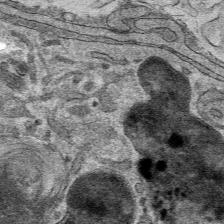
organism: Mouse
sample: Mouse hepatocytes